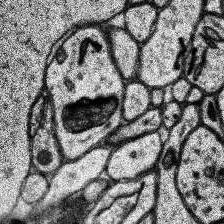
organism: Human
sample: Temporal Lobe